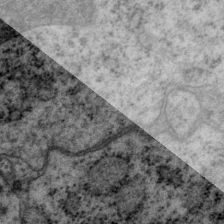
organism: P. pacificus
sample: Pharynx